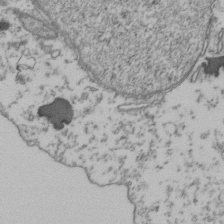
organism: Human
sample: Activated Jurkat CD4+ T cells